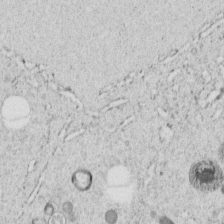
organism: C. elegans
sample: C. elegans embryo early stage